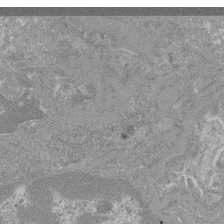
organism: Mouse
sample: Glomerulus